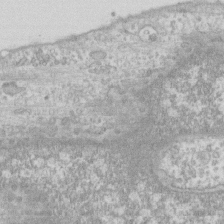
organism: Human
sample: Fibroblast cells